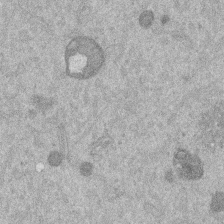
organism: Mouse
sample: Dividing mouse embryo 1 cell stage